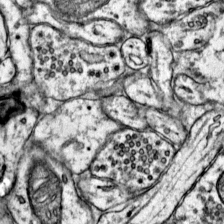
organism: Mouse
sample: Primary visual cortex